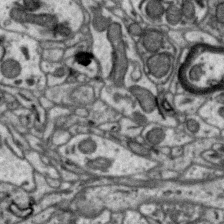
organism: Zebra finch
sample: Brain